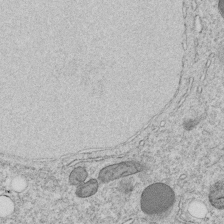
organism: C. elegans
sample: C. elegans embryo early stage